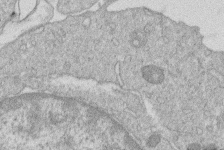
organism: Human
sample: Macrophage cells